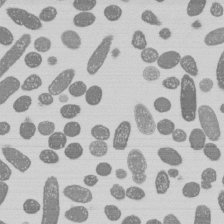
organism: E. coli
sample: Bacterial nucleoid